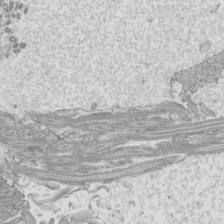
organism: Mouse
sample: Cilia; mouse epididymis